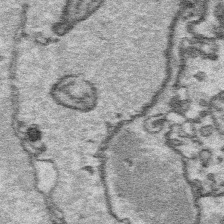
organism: Platynereis dumerilii